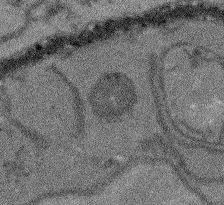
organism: Arabidopsis thaliana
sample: Root tip